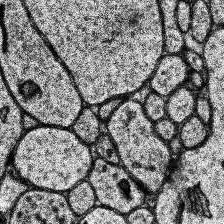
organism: Human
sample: Temporal Lobe